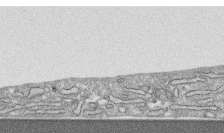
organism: Human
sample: CRL-1474